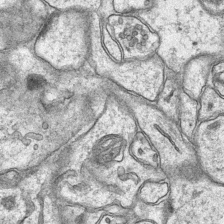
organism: Mouse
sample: CA1 Hippocampus